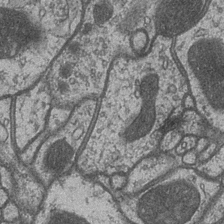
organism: Drosophila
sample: Optic medulla